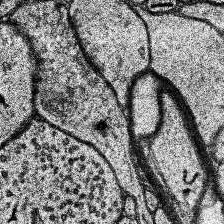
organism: Human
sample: Temporal Lobe